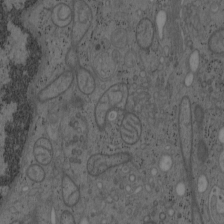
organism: Mouse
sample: OT-I killer T cells with ID8 ovarian cancer cells